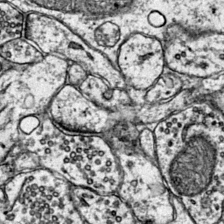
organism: Mouse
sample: Primary visual cortex